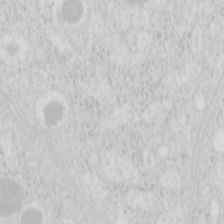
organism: Mouse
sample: Pancreas